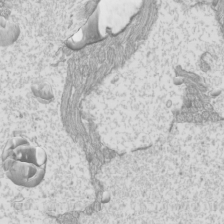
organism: Mouse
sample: Cilia; mouse epididymis